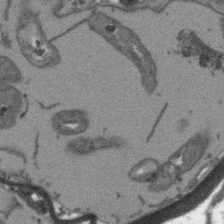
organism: Arabidopsis thaliana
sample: Root tip